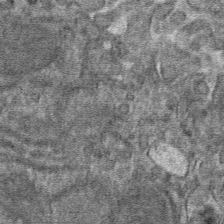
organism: Mouse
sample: Mouse hepatocytes